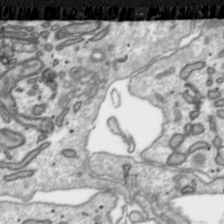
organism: Toxoplasma gondii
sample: Parasites in a vacuole inside a host cell